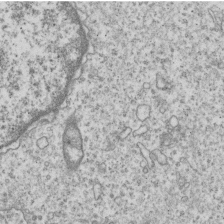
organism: Human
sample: MDA-MB-231 cells